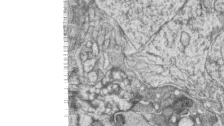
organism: Zebrafish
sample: synaptic ribbons in rod cells and cone cells